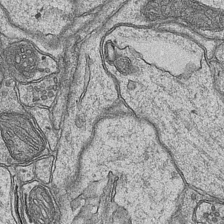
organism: Mouse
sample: CA1 Hippocampus